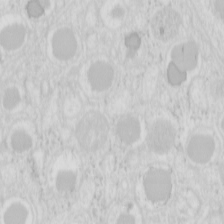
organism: Mouse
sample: Pancreas